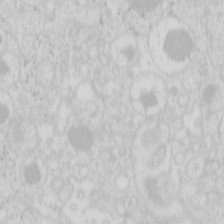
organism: Mouse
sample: Pancreas